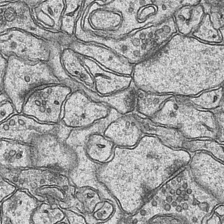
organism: Mouse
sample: CA1 Hippocampus